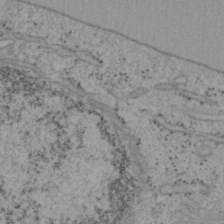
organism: Human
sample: HeLa cells